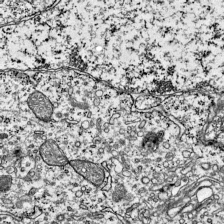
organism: Mouse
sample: Visual Cortex